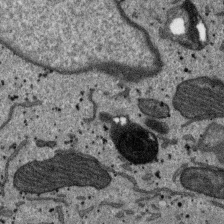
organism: Human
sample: Lung epithelial cells, uninfected (mock) control